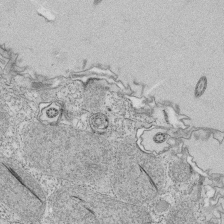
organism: Tetrahymena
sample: Cilia in tetrahymena